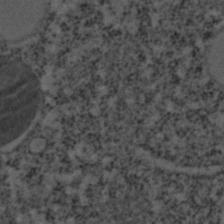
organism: C. elegans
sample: C. elegans embryo